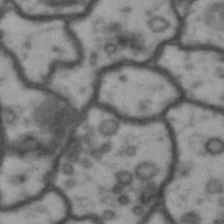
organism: Drosophila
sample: Brain